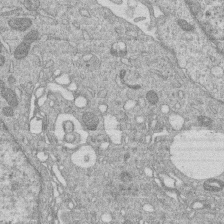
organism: Human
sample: Macrophage cells